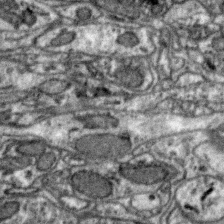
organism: Zebra finch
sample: Brain